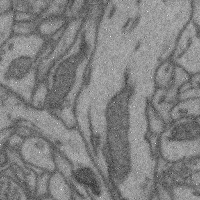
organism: Mouse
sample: Cerebral cortex